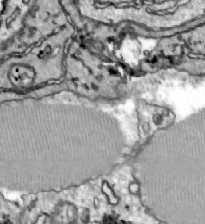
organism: Zebrafish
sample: Actinotrichia fibers